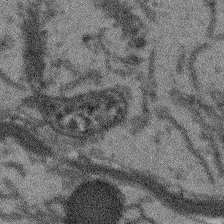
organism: Arabidopsis thaliana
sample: Root tip